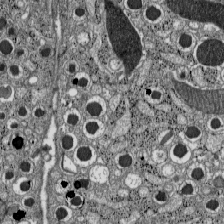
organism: C57BL Mouse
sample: Pancreatic islet